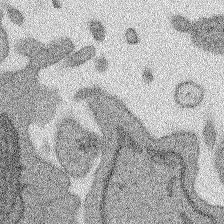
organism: Human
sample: HeLa cells